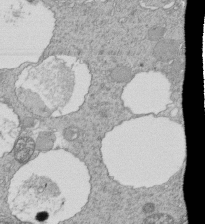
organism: Tetrahymena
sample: Cilia in tetrahymena